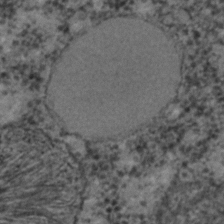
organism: C. elegans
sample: C. elegans embryo